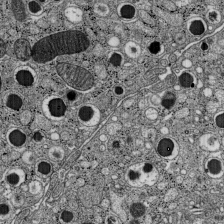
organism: C57BL Mouse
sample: Pancreatic islet